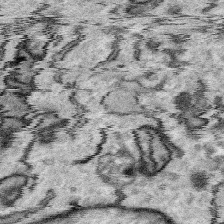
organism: Human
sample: HeLa cells